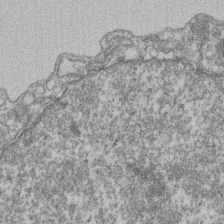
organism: Mouse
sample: T cell stromal cell synapse